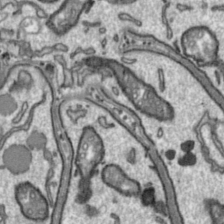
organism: Toxoplasma gondii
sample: Parasites in a vacuole inside a host cell